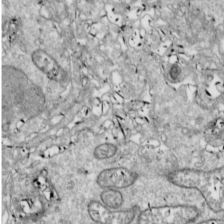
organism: Drosophila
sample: Cell division; meiosis; drosophila spermatocytes